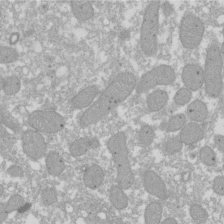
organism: Xenopus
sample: Cilia; centrioles in frog embryo cells